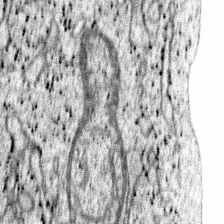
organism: Human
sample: HeLa cells